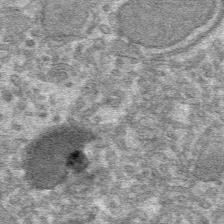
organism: Mouse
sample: Mouse hepatocytes